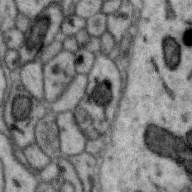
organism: Zebra finch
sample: Brain